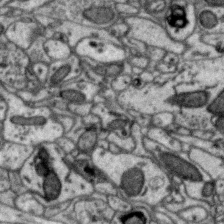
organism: Zebra finch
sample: Brain